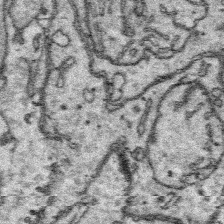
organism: Platynereis dumerilii